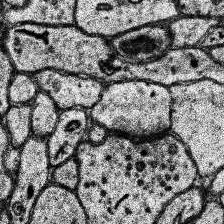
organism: Human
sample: Temporal Lobe